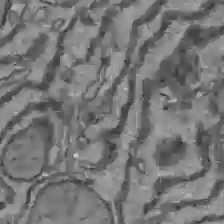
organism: C57BL Mouse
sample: Liver